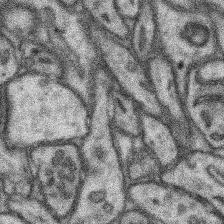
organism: Mouse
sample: Somatosensory cortex neuropil